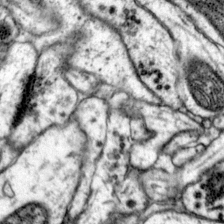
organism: Mouse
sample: Primary visual cortex